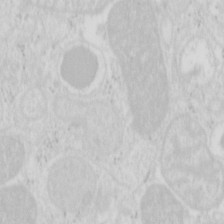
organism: Mouse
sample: Pancreas